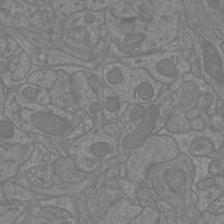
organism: Mouse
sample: Cortical neurons